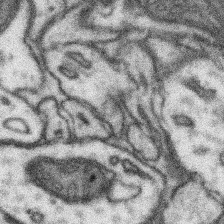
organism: Mouse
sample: Somatosensory cortex neuropil